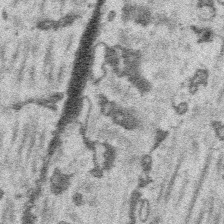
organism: Platynereis dumerilii